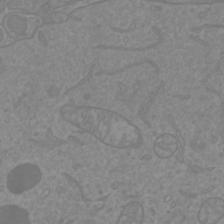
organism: Mouse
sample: Cortical neurons